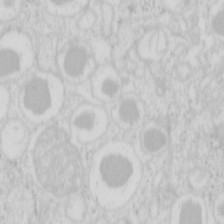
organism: Mouse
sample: Pancreas